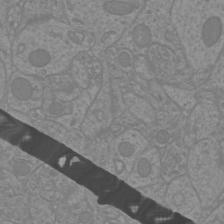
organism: Mouse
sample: Cortical neurons